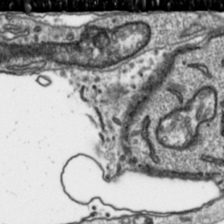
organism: Toxoplasma gondii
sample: Parasites in a vacuole inside a host cell